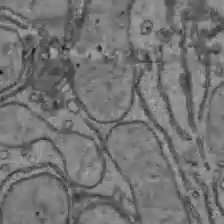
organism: C57BL Mouse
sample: Liver